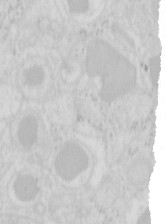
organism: Mouse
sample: Pancreas